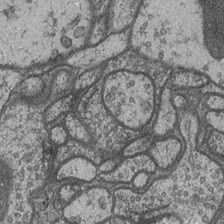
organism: Drosophila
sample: Optic medulla